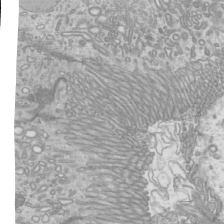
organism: Mouse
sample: Cilia; mouse epididymis